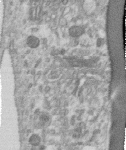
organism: Human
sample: Centriole in RPE cells